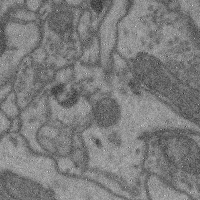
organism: Mouse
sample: Cerebral cortex